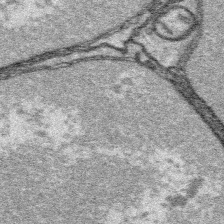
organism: Platynereis dumerilii